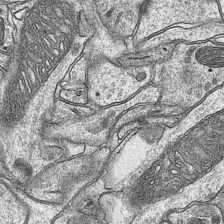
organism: Mouse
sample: CA1 Hippocampus